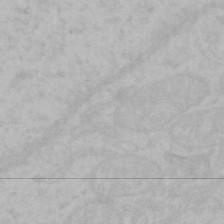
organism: Mouse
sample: Choroid plexus